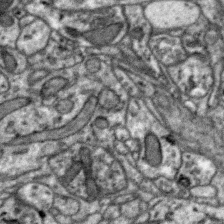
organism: Zebra finch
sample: Brain